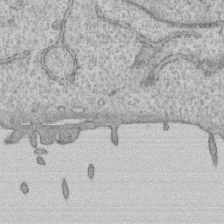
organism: Human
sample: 1205lu cells